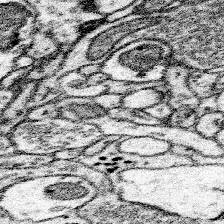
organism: Mouse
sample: Somatosensory cortex neuropil